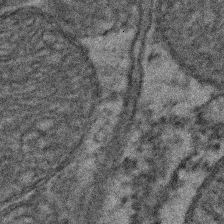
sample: Kidney